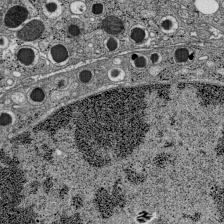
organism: C57BL Mouse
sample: Pancreatic islet